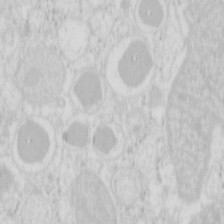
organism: Mouse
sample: Pancreas